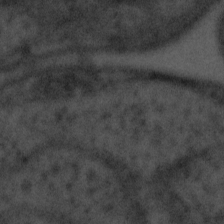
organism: Tuwongella immobilis